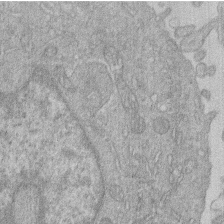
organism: Human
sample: Macrophage cells